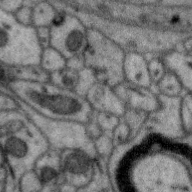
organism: Zebra finch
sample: Brain